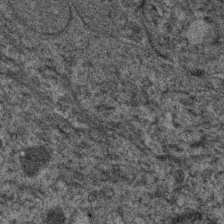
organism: Human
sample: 1205lu cells